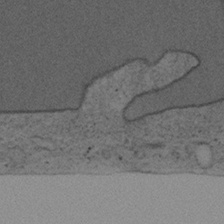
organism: Human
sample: HeLa cells